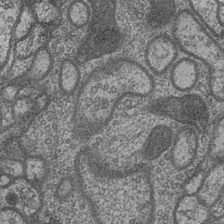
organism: Drosophila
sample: Optic medulla